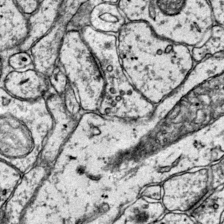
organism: Mouse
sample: Primary visual cortex